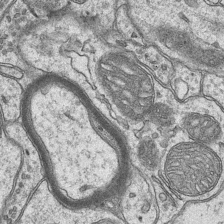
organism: Mouse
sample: CA1 Hippocampus